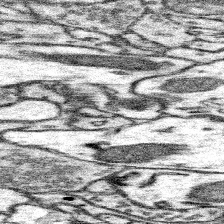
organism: Mouse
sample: Somatosensory cortex neuropil